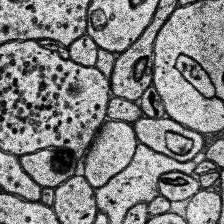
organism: Human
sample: Temporal Lobe